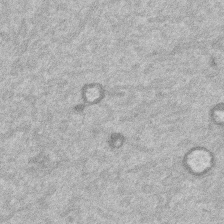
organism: Mouse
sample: Dividing mouse embryo 1 cell stage